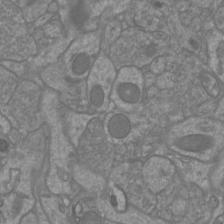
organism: Mouse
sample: Cortical neurons